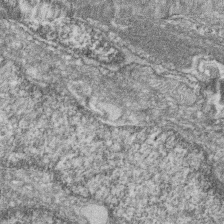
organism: Zebrafish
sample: Cilia; retinal pigment epithelium